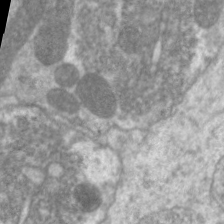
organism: C. elegans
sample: Pharynx